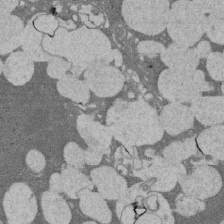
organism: Rat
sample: Salivary granule